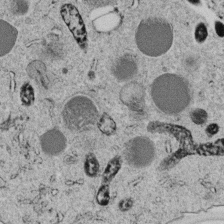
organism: C. elegans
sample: C. elegans embryo early stage